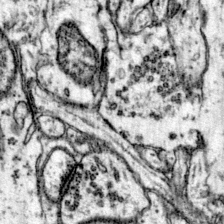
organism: Mouse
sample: Primary visual cortex